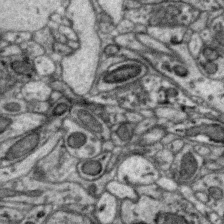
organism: Zebra finch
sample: Brain